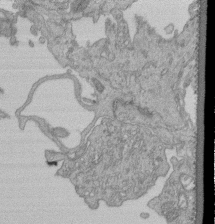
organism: Human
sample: Retinal organoid Rod and Cone cells